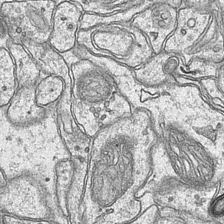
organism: Mouse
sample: CA1 Hippocampus